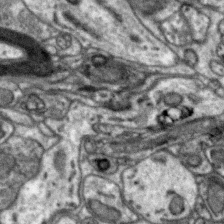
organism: Zebra finch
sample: Brain